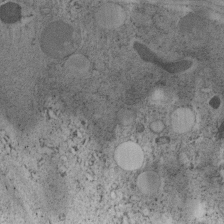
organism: C. elegans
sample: C. elegans embryo early stage